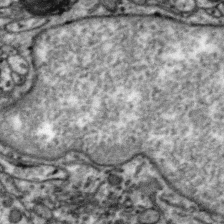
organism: Zebra finch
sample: Brain